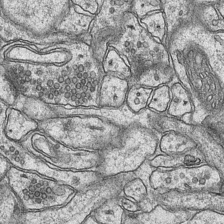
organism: Mouse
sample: CA1 Hippocampus